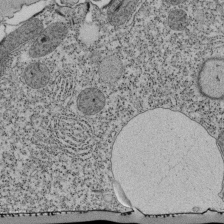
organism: Tetrahymena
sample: Cilia in tetrahymena